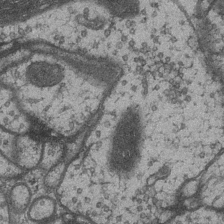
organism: Drosophila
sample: Optic medulla